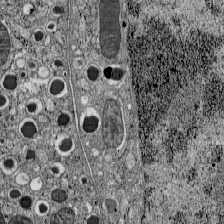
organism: C57BL Mouse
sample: Pancreatic islet